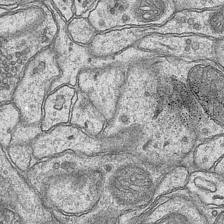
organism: Mouse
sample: CA1 Hippocampus